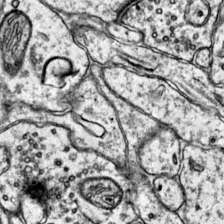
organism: Mouse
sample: Primary visual cortex